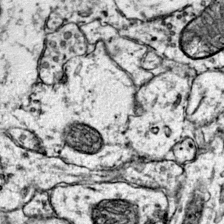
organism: Mouse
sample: Primary visual cortex